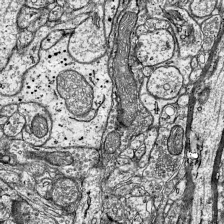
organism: Mouse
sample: Visual Cortex